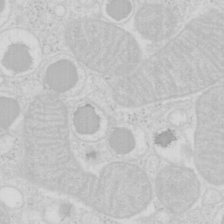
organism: Mouse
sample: Pancreas